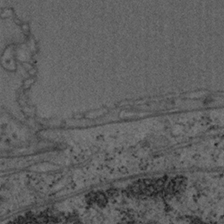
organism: Human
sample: HeLa cells